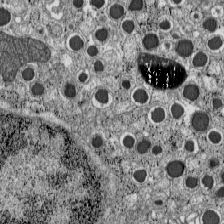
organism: C57BL Mouse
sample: Pancreatic islet